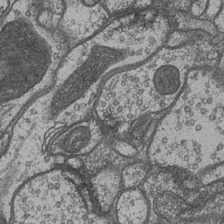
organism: Drosophila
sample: Optic medulla